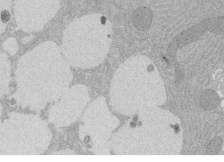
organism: Rat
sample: Salivary granule